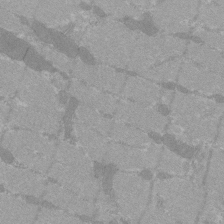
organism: C57BL Mouse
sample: Tibialis anterior muscle cell